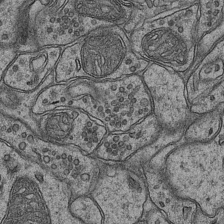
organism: Mouse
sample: CA1 Hippocampus